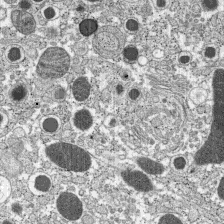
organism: C57BL Mouse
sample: Pancreatic islet